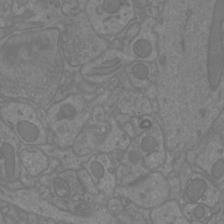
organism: Mouse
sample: Cortical neurons